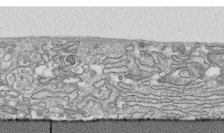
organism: Human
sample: CRL-1474